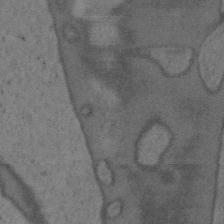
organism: Human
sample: HeLa cells